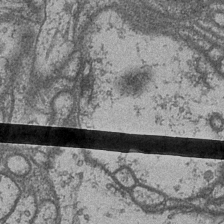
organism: Drosophila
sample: Optic medulla